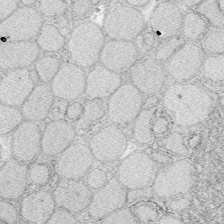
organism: Zebrafish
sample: Whole-Brain